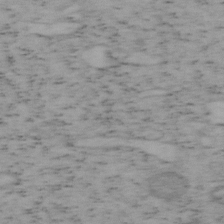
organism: Mouse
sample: OT-I killer T cells with ID8 ovarian cancer cells